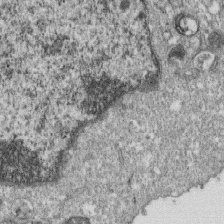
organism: African green monkey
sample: Vero E6 cells infected with SARS-CoV-2